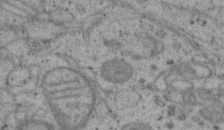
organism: Human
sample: HeLa cells